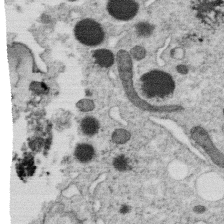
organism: C. elegans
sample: C. elegans oocyte; sperm cells